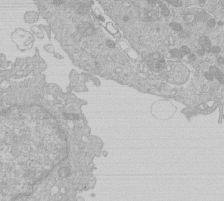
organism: Human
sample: Macrophage cells